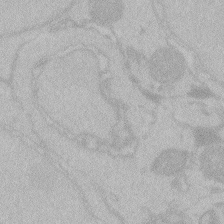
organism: Zebrafish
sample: Macrophage infected with Toxoplasma gondii